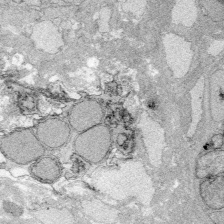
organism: Zebrafish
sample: Whole-Brain